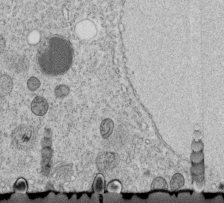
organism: C. elegans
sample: C. elegans embryo early stage